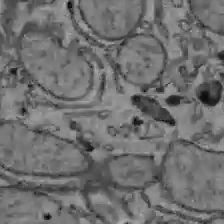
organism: C57BL Mouse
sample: Liver